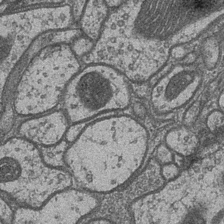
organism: Drosophila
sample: Optic medulla